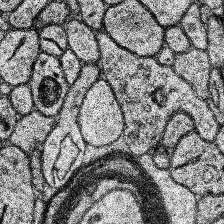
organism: Human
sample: Temporal Lobe